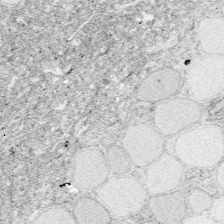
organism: Zebrafish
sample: Whole-Brain